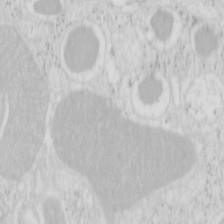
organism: Mouse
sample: Pancreas